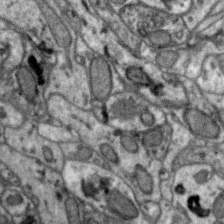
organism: Zebra finch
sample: Brain